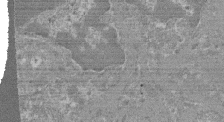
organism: Mouse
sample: Glomerulus